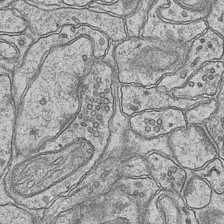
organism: Mouse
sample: CA1 Hippocampus